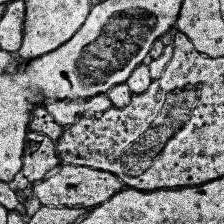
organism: Human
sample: Temporal Lobe